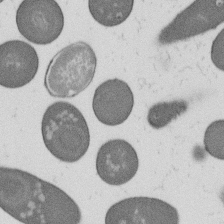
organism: B. subtilis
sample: Bacterial spore